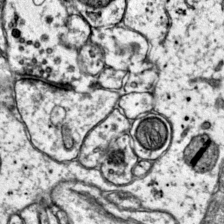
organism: Mouse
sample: Primary visual cortex